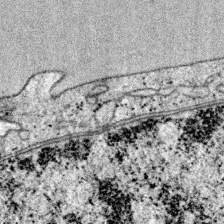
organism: Human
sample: HeLa cells